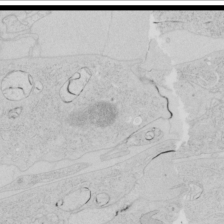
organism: Human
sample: Mitochondria in HCT116 cells